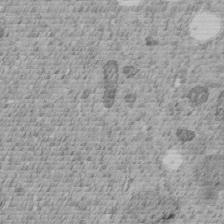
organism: C. elegans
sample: C. elegans embryo early stage